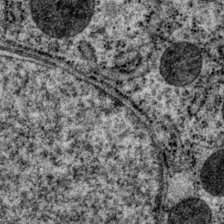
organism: P. pacificus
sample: Pharynx